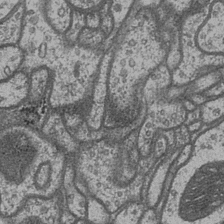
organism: Drosophila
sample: Optic medulla